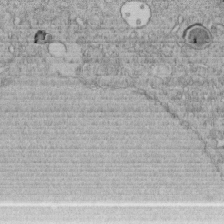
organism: C. elegans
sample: C. elegans embryo early stage